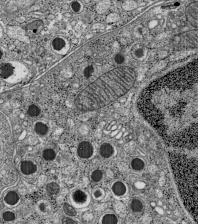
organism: C57BL Mouse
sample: Pancreatic islet